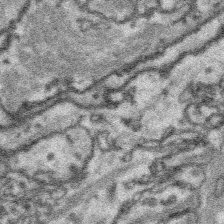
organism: Platynereis dumerilii